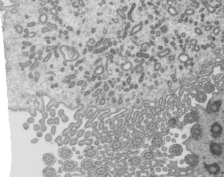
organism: Mouse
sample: Mouse epididymis efferent ductule cilia